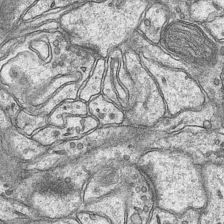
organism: Mouse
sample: CA1 Hippocampus